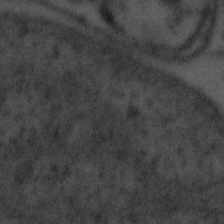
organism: Tuwongella immobilis